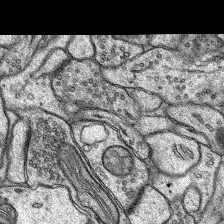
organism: Rat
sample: Hippocampus